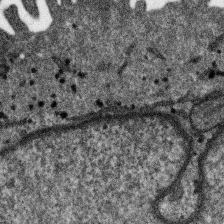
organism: Human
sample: Lung epithelial cells infected with SARS-CoV-2